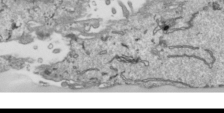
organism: Human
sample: Mitochondria in HCT116 cells